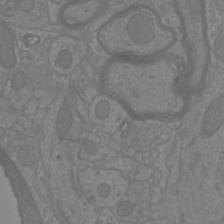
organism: Mouse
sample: Cortical neurons